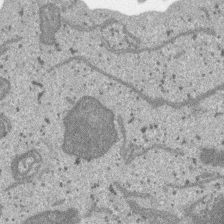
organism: Human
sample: Lung epithelial cells infected with SARS-CoV-2